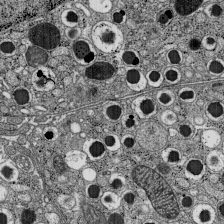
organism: C57BL Mouse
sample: Pancreatic islet